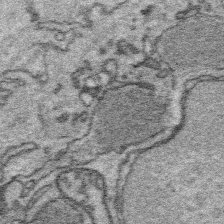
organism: Platynereis dumerilii